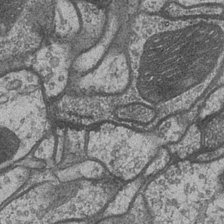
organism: Drosophila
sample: Optic medulla